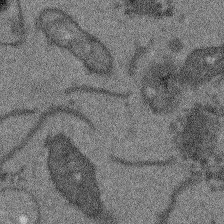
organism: Arabidopsis thaliana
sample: Root tip